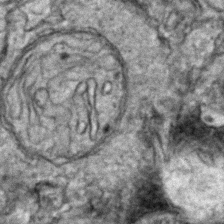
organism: Zebrafish